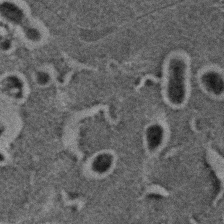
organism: C. elegans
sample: C. elegans embryo